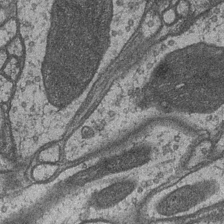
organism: Drosophila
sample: Optic medulla